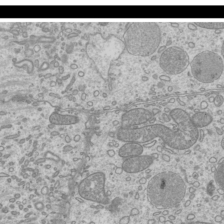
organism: Mouse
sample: Cilia; mouse epididymis